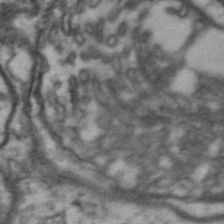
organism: Drosophila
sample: Brain